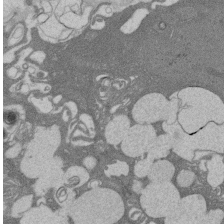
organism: Rat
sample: Salivary granule